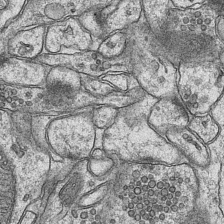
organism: Mouse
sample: CA1 Hippocampus